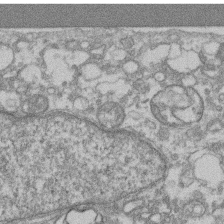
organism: Mouse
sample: T cell stromal cell synapse